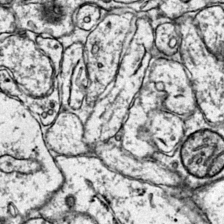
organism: Mouse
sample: Primary visual cortex